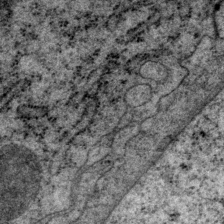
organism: P. pacificus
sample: Pharynx